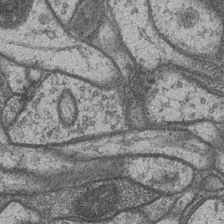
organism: Drosophila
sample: Optic medulla